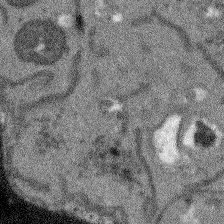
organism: Arabidopsis thaliana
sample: Root tip